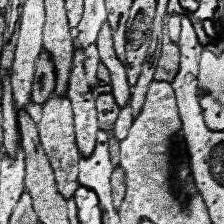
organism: Human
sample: Temporal Lobe